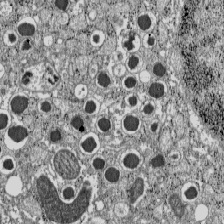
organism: C57BL Mouse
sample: Pancreatic islet